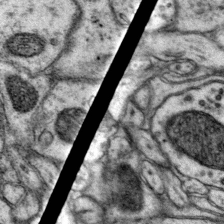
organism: Mouse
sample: Primary visual cortex